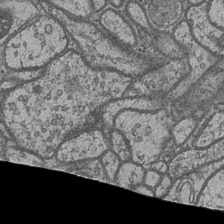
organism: Drosophila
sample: Optic medulla